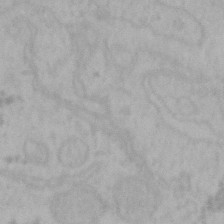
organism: Mouse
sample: Choroid plexus